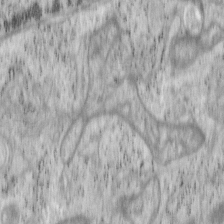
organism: Human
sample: HeLa cells